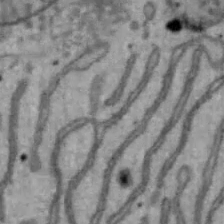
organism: Mouse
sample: Liver